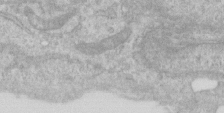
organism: Human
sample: Centriole in RPE cells